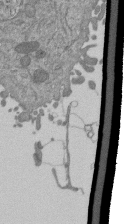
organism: Mouse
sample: ED-1 cell nuclei; centrioles